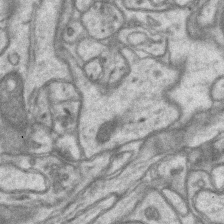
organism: Mouse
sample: CA1 Hippocampus